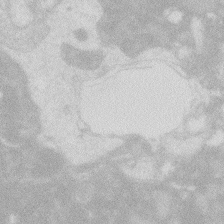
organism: Zebrafish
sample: Macrophage